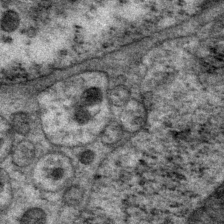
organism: P. pacificus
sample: Pharynx